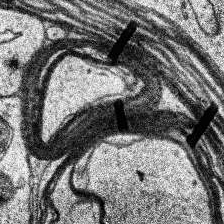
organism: Human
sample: Temporal Lobe